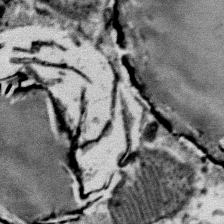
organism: Mouse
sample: Mouse Salivary gland